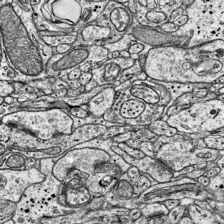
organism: Mouse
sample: Visual Cortex